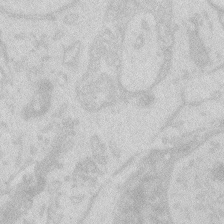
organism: Zebrafish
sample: Macrophage